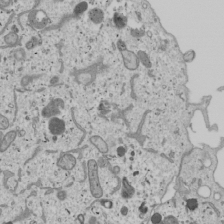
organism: Human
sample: Mitochondria in U2OS cells